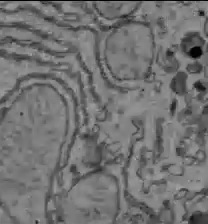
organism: C57BL Mouse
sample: Liver